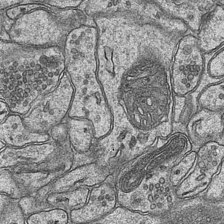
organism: Mouse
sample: CA1 Hippocampus